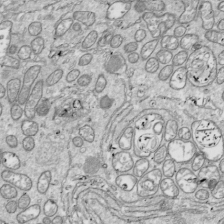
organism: Drosophila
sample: Cell division; meiosis; drosophila spermatocytes